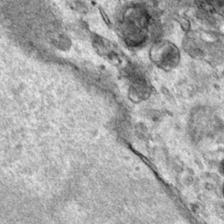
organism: Human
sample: Mitochondria in HCT116 cells